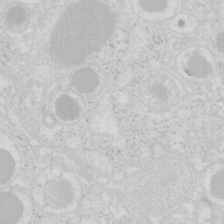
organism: Mouse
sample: Pancreas